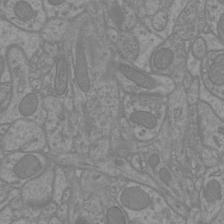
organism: Mouse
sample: Cortical neurons